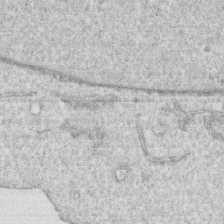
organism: Human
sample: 1205lu cells